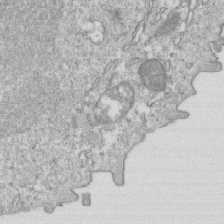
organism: Mouse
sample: Activated OT-1 CD8+ T cells